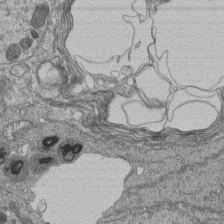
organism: Human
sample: Retinal organoid Rod and Cone cells